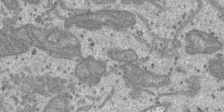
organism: Human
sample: Lung epithelial cells infected with SARS-CoV-2